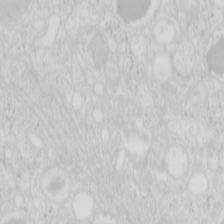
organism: Mouse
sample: Pancreas